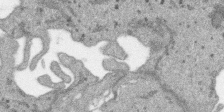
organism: Human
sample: Lung epithelial cells infected with SARS-CoV-2